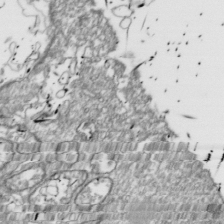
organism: Drosophila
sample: Cell division; meiosis; drosophila spermatocytes